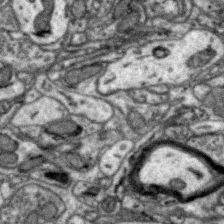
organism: Zebra finch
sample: Brain